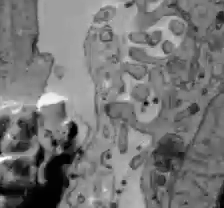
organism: C57BL Mouse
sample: Liver